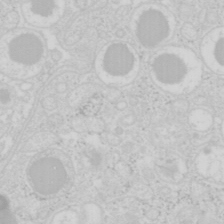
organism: Mouse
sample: Pancreas